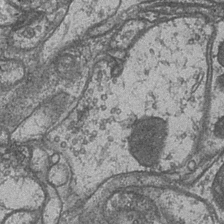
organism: Drosophila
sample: Optic medulla